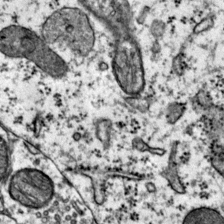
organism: Mouse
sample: Primary visual cortex